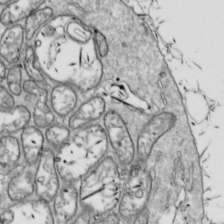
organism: Drosophila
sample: Cell division; meiosis; drosophila spermatocytes